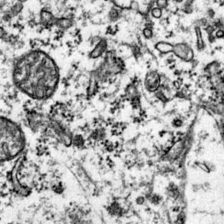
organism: Mouse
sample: Primary visual cortex